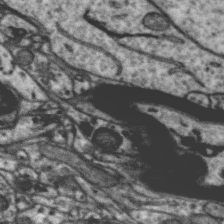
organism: Zebra finch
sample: Brain